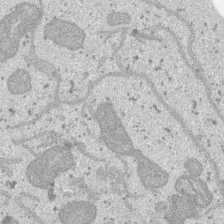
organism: Human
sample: Lung epithelial cells infected with SARS-CoV-2